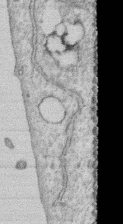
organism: Human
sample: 1205lu cells